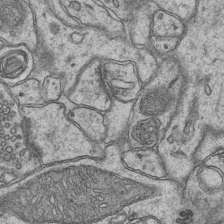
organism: Mouse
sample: CA1 Hippocampus